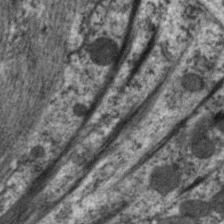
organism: C. elegans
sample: Pharynx